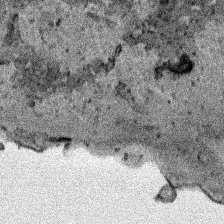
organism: Human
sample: Mitochondria in HCT116 cells